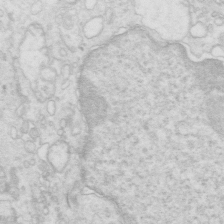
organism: Mouse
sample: Multiciliated cells